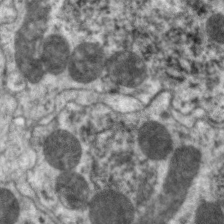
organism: C. elegans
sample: Pharynx